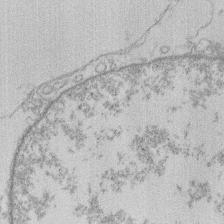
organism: Human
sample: Macrophage cells